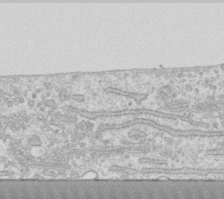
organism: Human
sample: Fibroblast cells